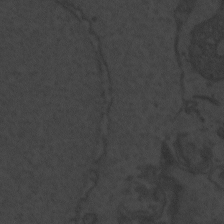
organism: Zebrafish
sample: Macrophage infected with Toxoplasma gondii